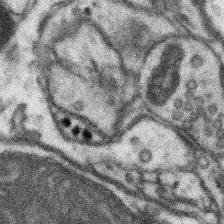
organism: Mouse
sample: Somatosensory cortex neuropil